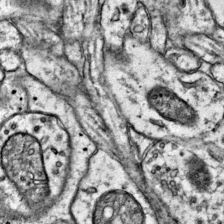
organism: Mouse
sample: Primary visual cortex